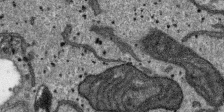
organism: Human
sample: Lung epithelial cells, uninfected (mock) control